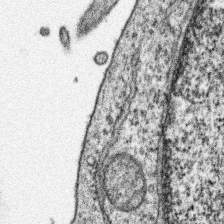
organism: Human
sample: HeLa cells